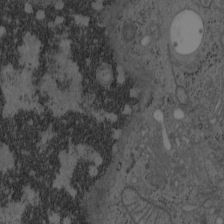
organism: Mouse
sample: OT-I killer T cells with ID8 ovarian cancer cells